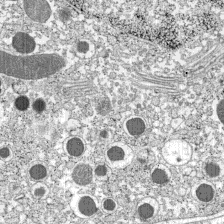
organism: C57BL Mouse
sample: Pancreatic islet